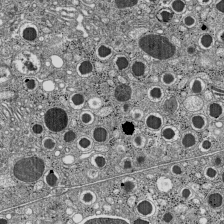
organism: C57BL Mouse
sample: Pancreatic islet